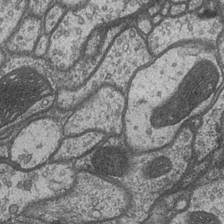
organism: Drosophila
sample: Optic medulla